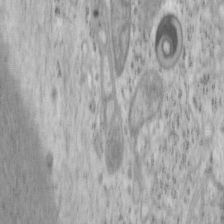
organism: Human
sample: HeLa cells